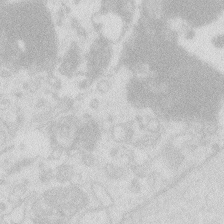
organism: Zebrafish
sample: Macrophage